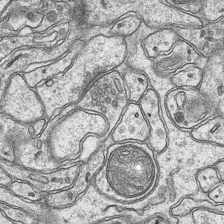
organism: Mouse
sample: CA1 Hippocampus